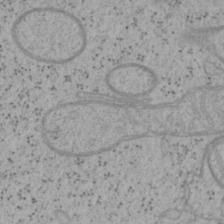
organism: Human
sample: HeLa cells